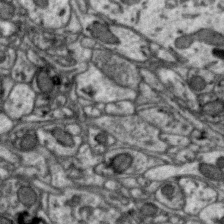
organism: Zebra finch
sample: Brain